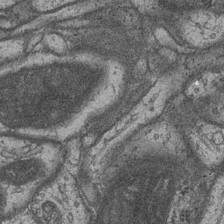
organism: Drosophila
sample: Optic medulla